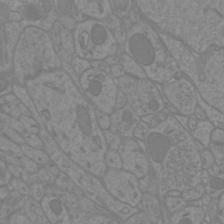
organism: Mouse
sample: Cortical neurons